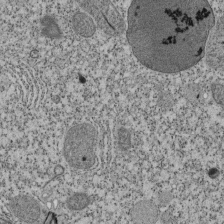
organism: Tetrahymena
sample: Cilia in tetrahymena